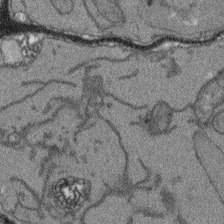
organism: Arabidopsis thaliana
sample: Root tip